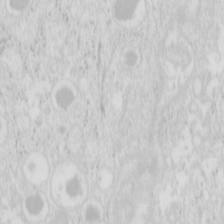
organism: Mouse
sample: Pancreas